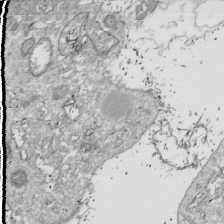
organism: Drosophila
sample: Cell division; meiosis; drosophila spermatocytes